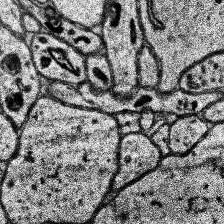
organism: Human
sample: Temporal Lobe